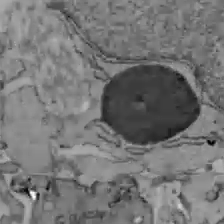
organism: C57BL Mouse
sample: Liver